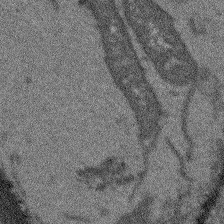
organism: Arabidopsis thaliana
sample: Root tip